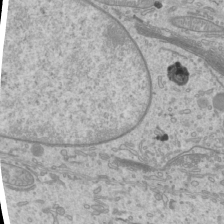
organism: Mouse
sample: Cilia; mouse epididymis